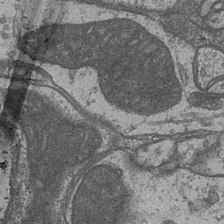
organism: Drosophila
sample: Optic medulla